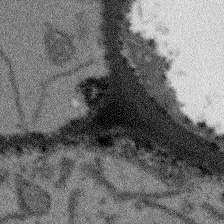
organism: Arabidopsis thaliana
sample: Root tip